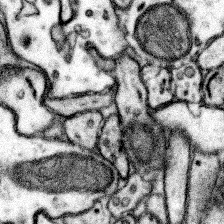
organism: Mouse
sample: Somatosensory cortex neuropil